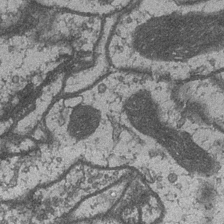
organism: Drosophila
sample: Optic medulla